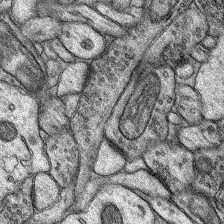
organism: Rat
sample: Hippocampus